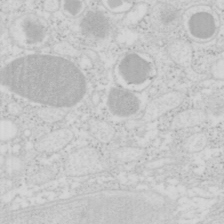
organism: Mouse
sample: Pancreas